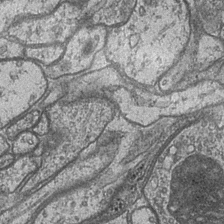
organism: Drosophila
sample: Optic medulla